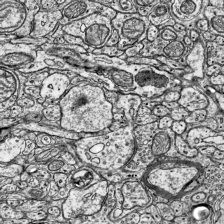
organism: Mouse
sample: Visual Cortex